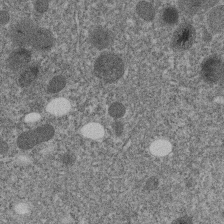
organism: C. elegans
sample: C. elegans embryo early stage